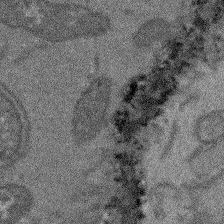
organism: Arabidopsis thaliana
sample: Root tip